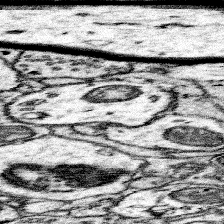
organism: Mouse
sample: Somatosensory cortex neuropil